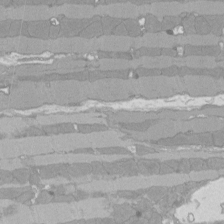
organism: Rat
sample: Left ventricle